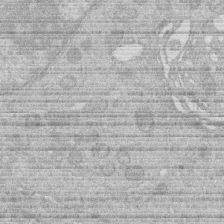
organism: Human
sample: Macrophage cells